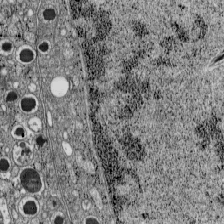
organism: C57BL Mouse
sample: Pancreatic islet